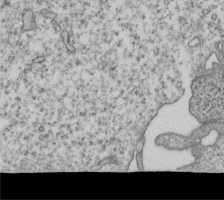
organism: Human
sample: MDA-MB-231 cells